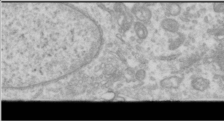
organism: Human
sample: Cilia; basal body in RPE cells